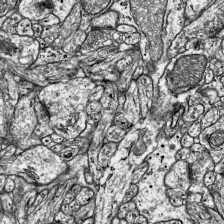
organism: Mouse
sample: Visual Cortex